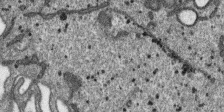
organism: Human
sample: Lung epithelial cells infected with SARS-CoV-2